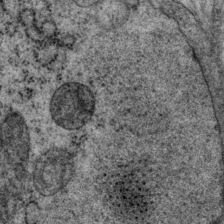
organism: P. pacificus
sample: Pharynx